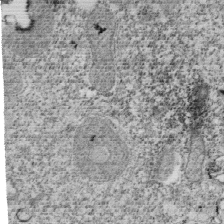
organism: Tetrahymena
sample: Cilia in tetrahymena